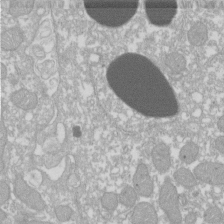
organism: Xenopus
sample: Cilia; centrioles in frog embryo cells